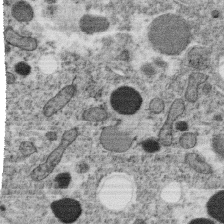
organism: C. elegans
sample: C. elegans oocyte; sperm cells